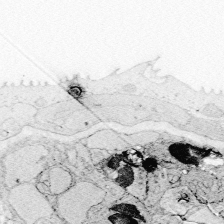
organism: Zebrafish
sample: Whole-Brain